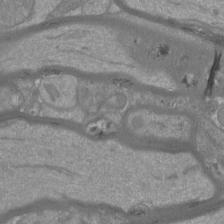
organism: Mouse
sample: Cortical neurons